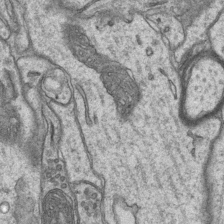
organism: Mouse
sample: CA1 Hippocampus